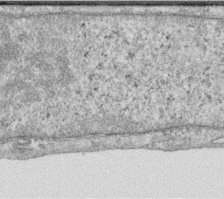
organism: Human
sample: Centriole in RPE cells